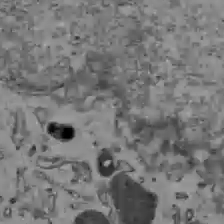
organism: C57BL Mouse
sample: Liver